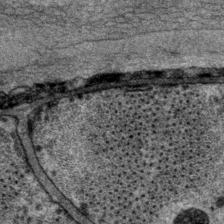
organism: P. pacificus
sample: Pharynx